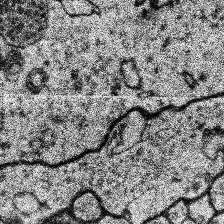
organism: Human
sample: Temporal Lobe